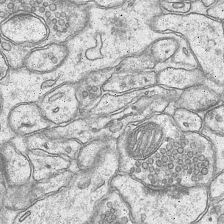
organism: Mouse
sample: CA1 Hippocampus